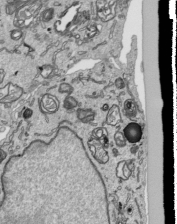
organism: Human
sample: Mitochondria in HCT116 cells